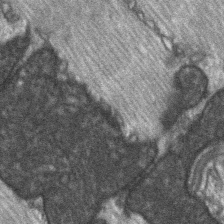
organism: C57BL Mouse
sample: Soleus